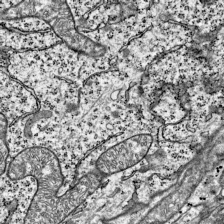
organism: Mouse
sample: Visual Cortex